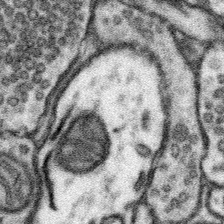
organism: Mouse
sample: Somatosensory cortex neuropil